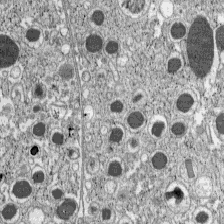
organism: C57BL Mouse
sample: Pancreatic islet